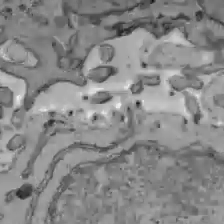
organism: C57BL Mouse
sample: Liver